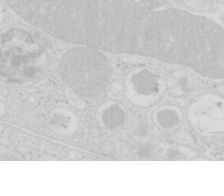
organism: Mouse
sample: Pancreas